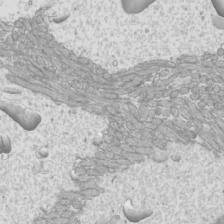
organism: Mouse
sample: Cilia; mouse epididymis